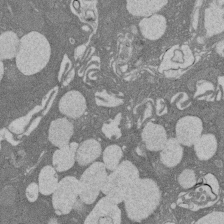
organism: Rat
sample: Salivary granule